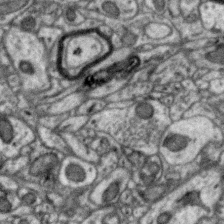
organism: Zebra finch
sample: Brain